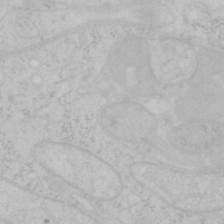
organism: Mouse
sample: OT-I killer T cells with ID8 ovarian cancer cells